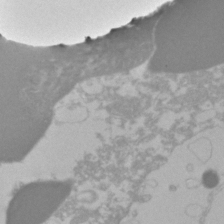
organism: Zebrafish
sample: Zebrafish embryo